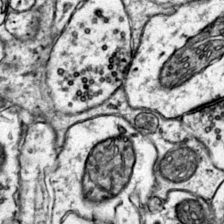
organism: Mouse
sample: Primary visual cortex